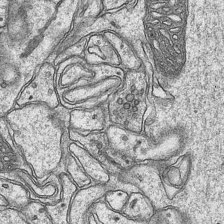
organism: Mouse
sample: CA1 Hippocampus